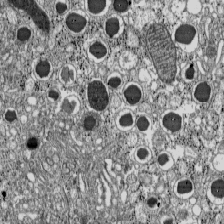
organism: C57BL Mouse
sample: Pancreatic islet